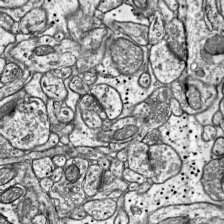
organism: Mouse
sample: Visual Cortex